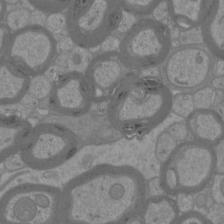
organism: Mouse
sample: Cortical neurons